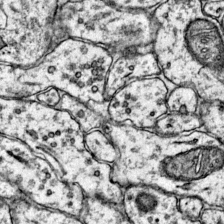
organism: Mouse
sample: Primary visual cortex